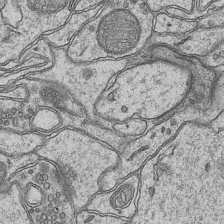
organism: Mouse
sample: CA1 Hippocampus